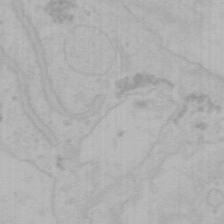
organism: Mouse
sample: Choroid plexus